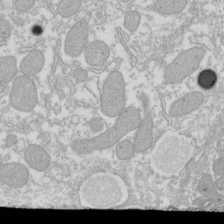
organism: Xenopus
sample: Cilia; centrioles in frog embryo cells